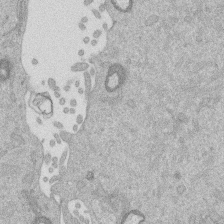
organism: Mouse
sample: Dividing mouse embryo 1 cell stage